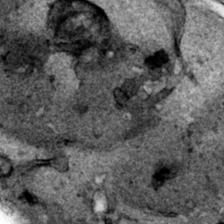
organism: Human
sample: Mitochondria in HCT116 cells